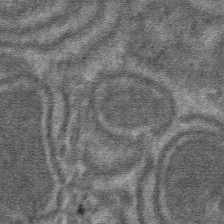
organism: Mouse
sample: Mouse hepatocytes